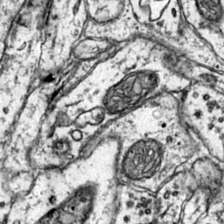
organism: Mouse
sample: Primary visual cortex